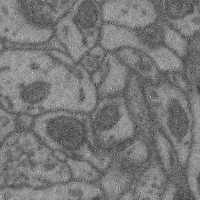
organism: Mouse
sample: Cerebral cortex